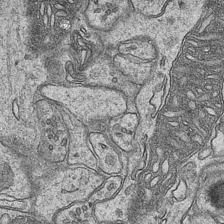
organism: Mouse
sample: CA1 Hippocampus